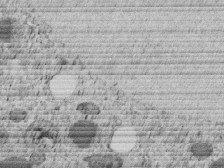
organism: C. elegans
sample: C. elegans embryo early stage